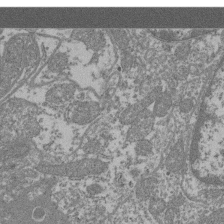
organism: Mouse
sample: Glomerulus